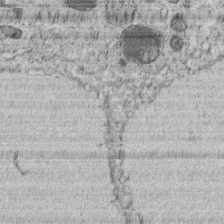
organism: C. elegans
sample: C. elegans embryo early stage